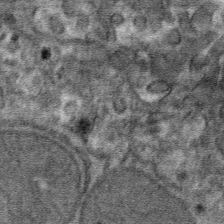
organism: Mouse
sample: Mouse hepatocytes